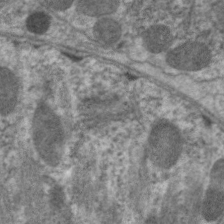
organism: C. elegans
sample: Pharynx